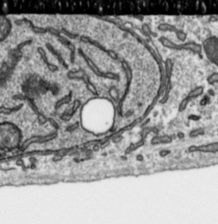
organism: Toxoplasma gondii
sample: Parasites in a vacuole inside a host cell